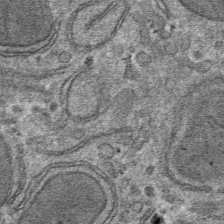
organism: Mouse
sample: Mouse hepatocytes